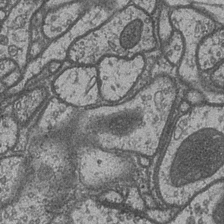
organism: Drosophila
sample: Optic medulla